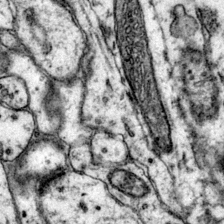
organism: Mouse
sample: Primary visual cortex